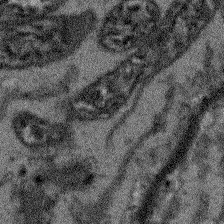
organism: Arabidopsis thaliana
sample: Root tip